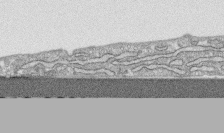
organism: Human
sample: CRL-1474